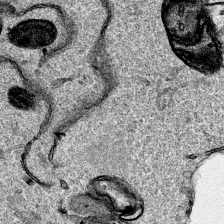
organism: Human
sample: Mitochondria in HCT116 cells